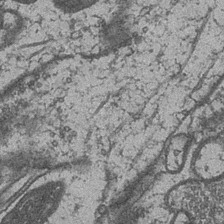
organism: Drosophila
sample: Optic medulla